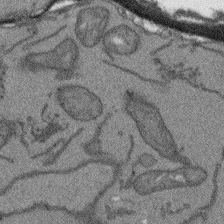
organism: Arabidopsis thaliana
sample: Root tip